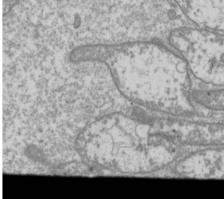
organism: Drosophila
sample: Cell division; meiosis; drosophila spermatocytes